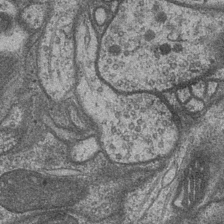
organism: Drosophila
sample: Optic medulla